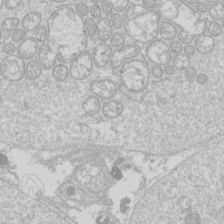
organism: Drosophila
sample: Cell division; meiosis; drosophila spermatocytes